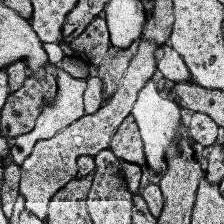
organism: Human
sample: Temporal Lobe